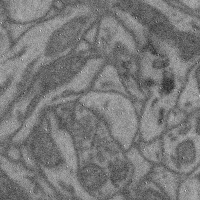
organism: Mouse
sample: Cerebral cortex